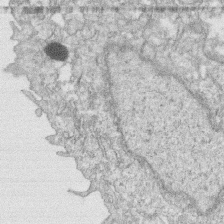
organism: Human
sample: HeLa cell HIV synapse